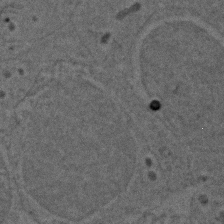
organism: Zebrafish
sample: Zebrafish embryo